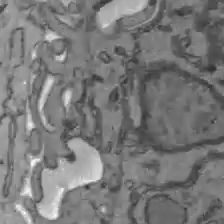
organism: C57BL Mouse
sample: Liver